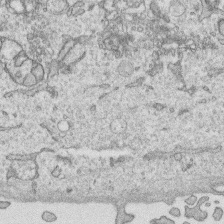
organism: Human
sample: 1205lu cells